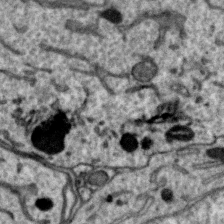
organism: Zebra finch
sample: Brain